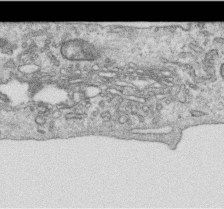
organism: Human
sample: Centriole in RPE cells